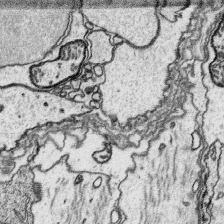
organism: Platynereis dumerilii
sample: Parapodia